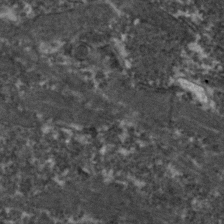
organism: Zebrafish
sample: Zebrafish embryo